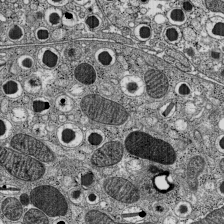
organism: C57BL Mouse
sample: Pancreatic islet